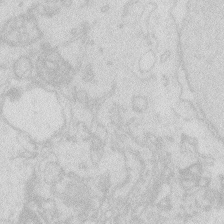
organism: Zebrafish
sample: Macrophage